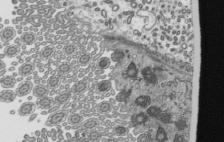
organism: Mouse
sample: Mouse epididymis efferent ductule cilia